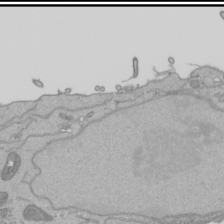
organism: Human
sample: Mitochondria in HCT116 cells